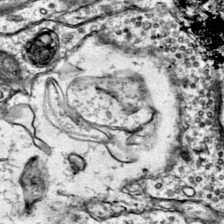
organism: Mouse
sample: Primary visual cortex